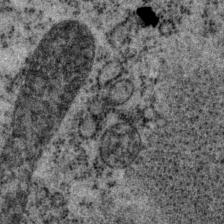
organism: P. pacificus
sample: Pharynx